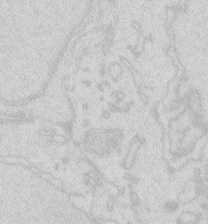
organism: Zebrafish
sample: Macrophage